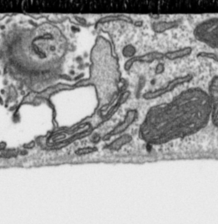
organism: Toxoplasma gondii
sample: Parasites in a vacuole inside a host cell